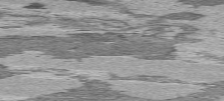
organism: C57BL Mouse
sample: Heart